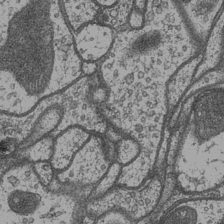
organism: Drosophila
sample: Optic medulla